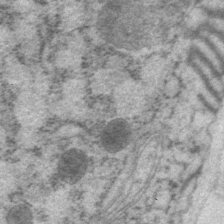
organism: P. pacificus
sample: Pharynx